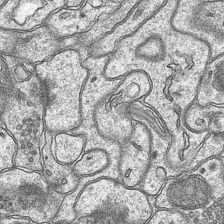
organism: Mouse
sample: CA1 Hippocampus